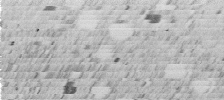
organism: C. elegans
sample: C. elegans embryo early stage